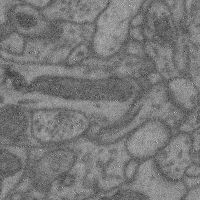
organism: Mouse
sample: Cerebral cortex